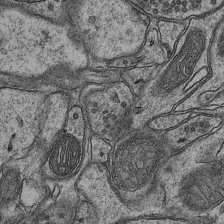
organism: Mouse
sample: CA1 Hippocampus